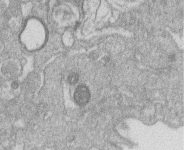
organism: Human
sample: Macrophage cells